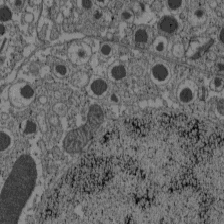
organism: C57BL Mouse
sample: Pancreatic islet